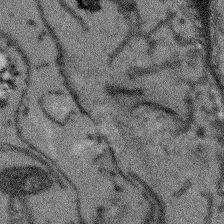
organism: Arabidopsis thaliana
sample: Root tip